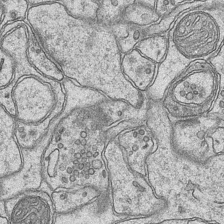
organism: Mouse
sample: CA1 Hippocampus